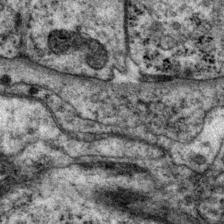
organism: P. pacificus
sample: Pharynx